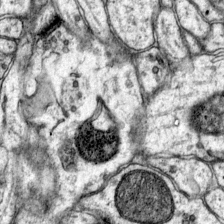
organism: Mouse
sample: Primary visual cortex